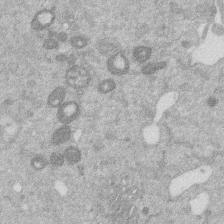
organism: Mouse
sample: Dividing mouse embryo 1 cell stage